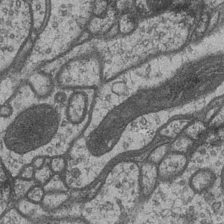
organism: Drosophila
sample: Optic medulla